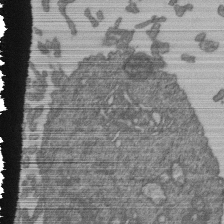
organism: Human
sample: Retinal organoid Rod and Cone cells